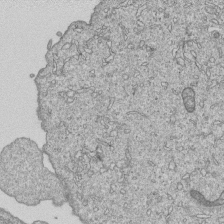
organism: Human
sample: MDA-MB-231 cells